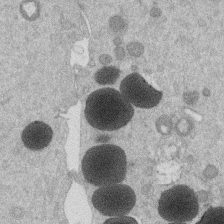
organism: Mouse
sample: Dividing mouse embryo 1 cell stage